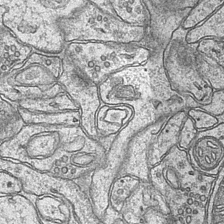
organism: Mouse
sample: CA1 Hippocampus